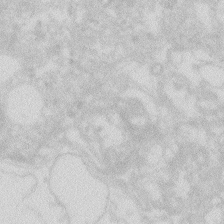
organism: Zebrafish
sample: Macrophage